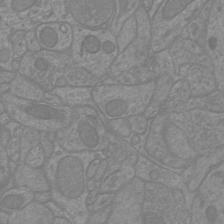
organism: Mouse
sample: Cortical neurons